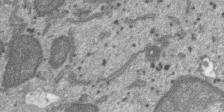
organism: Human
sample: Lung epithelial cells infected with SARS-CoV-2